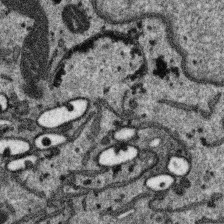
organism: Human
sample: Lung epithelial cells infected with SARS-CoV-2